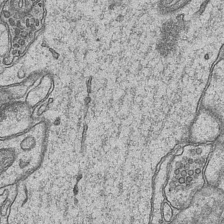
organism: Mouse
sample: CA1 Hippocampus